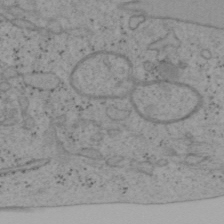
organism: Human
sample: HeLa cells